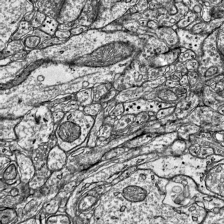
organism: Mouse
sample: Visual Cortex